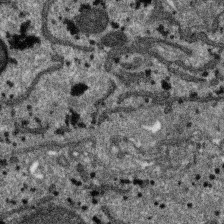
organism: Human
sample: Lung epithelial cells infected with SARS-CoV-2